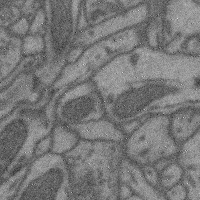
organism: Mouse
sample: Cerebral cortex